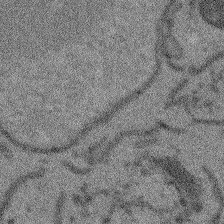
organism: Arabidopsis thaliana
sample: Root tip